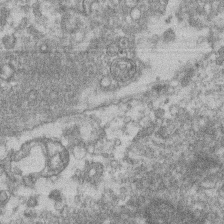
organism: Mouse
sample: T cell stromal cell synapse